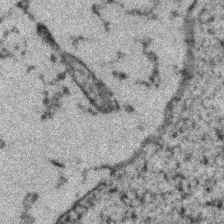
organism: Zebrafish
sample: Zebrafish embryo